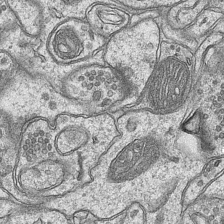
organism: Mouse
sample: CA1 Hippocampus